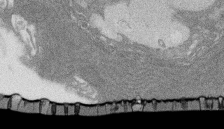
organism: Rat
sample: Salivary granule